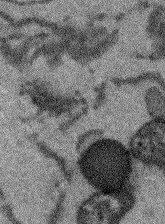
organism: Arabidopsis thaliana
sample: Root tip